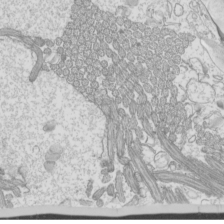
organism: Mouse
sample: Cilia; mouse epididymis